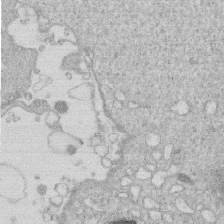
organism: Human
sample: Macrophage cells